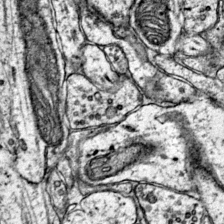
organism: Mouse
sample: Primary visual cortex